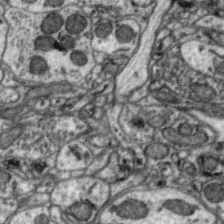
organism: Zebra finch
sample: Brain